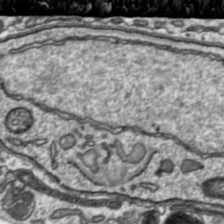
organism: Toxoplasma gondii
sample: Parasites in a vacuole inside a host cell